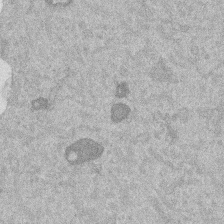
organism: Mouse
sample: Dividing mouse embryo 1 cell stage